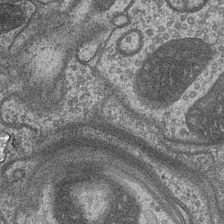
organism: Drosophila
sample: Optic medulla